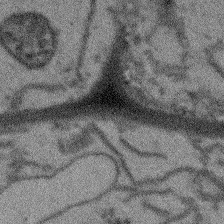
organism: Arabidopsis thaliana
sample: Root tip